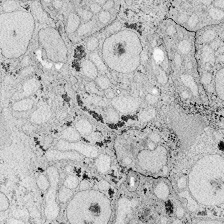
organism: Zebrafish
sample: Whole-Brain